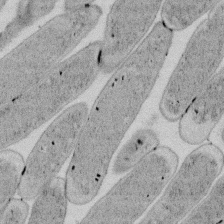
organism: E. coli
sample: Bacterial nucleoid